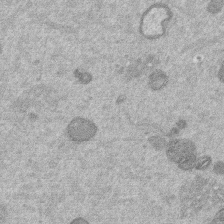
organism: Mouse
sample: Dividing mouse embryo 1 cell stage